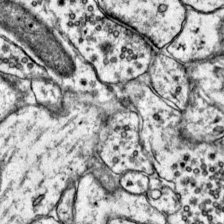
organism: Mouse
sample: Primary visual cortex